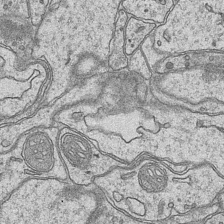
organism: Mouse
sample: CA1 Hippocampus